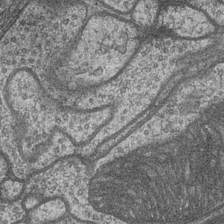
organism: Drosophila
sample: Optic medulla